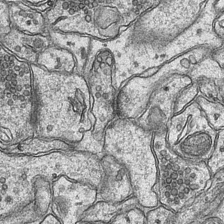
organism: Mouse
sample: CA1 Hippocampus